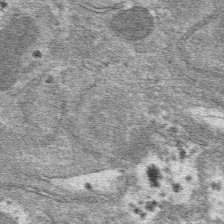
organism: Mouse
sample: Mouse hepatocytes